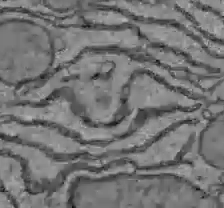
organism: C57BL Mouse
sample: Liver